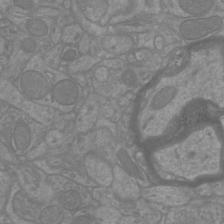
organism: Mouse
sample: Cortical neurons